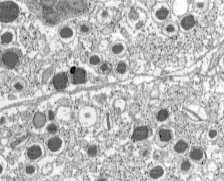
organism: C57BL Mouse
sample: Pancreatic islet